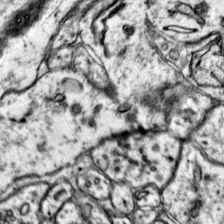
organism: Mouse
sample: Primary visual cortex